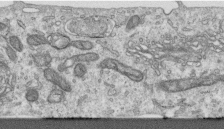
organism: Human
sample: Centriole in RPE cells